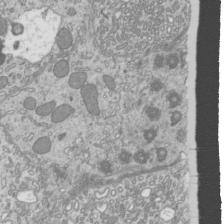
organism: Mouse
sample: Cilia; mouse epididymis